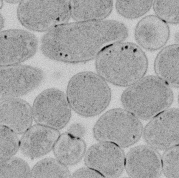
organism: E. coli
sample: Bacterial nucleoid